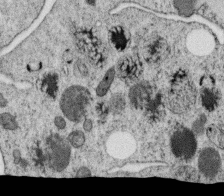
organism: C. elegans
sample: C. elegans oocyte; sperm cells